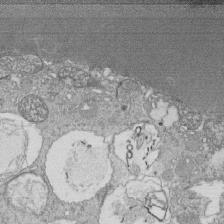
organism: Tetrahymena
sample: Cilia in tetrahymena